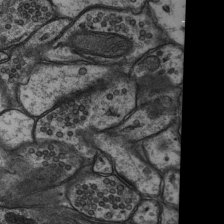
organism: Rat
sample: Hippocampus